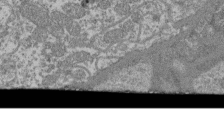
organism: Mouse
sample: Glomerulus